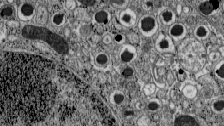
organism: C57BL Mouse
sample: Pancreatic islet